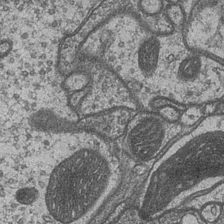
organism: Drosophila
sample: Optic medulla